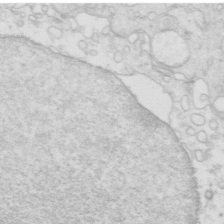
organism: Mouse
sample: Multiciliated cells